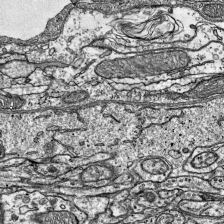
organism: Mouse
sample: Visual Cortex